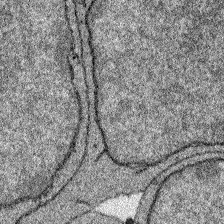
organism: Zebrafish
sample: Larval olfactory bulb